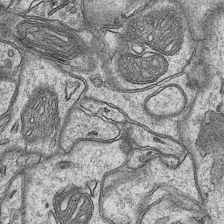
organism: Mouse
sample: CA1 Hippocampus